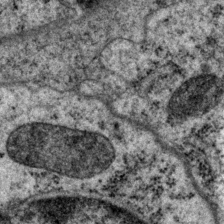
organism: P. pacificus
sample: Pharynx